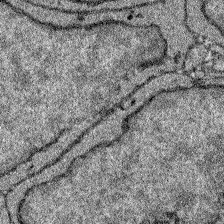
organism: Zebrafish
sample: Larval olfactory bulb